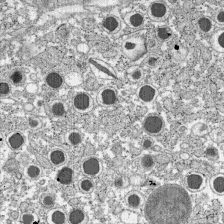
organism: C57BL Mouse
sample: Pancreatic islet